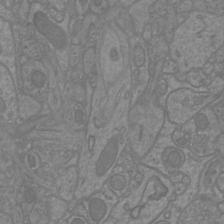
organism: Mouse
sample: Cortical neurons